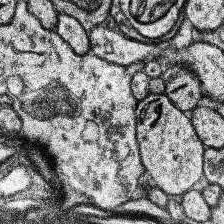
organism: Human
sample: Temporal Lobe